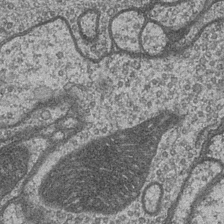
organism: Drosophila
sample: Optic medulla